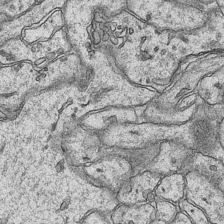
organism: Mouse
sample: CA1 Hippocampus